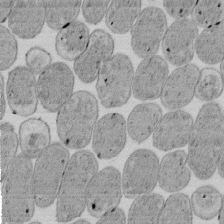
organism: E. coli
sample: Bacterial nucleoid